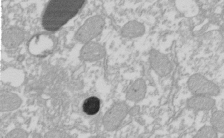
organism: Xenopus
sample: Cilia; centrioles in frog embryo cells